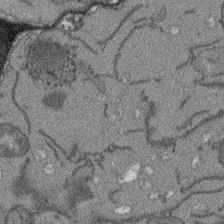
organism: Arabidopsis thaliana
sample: Root tip